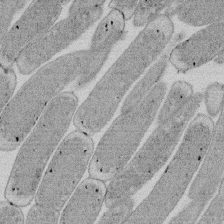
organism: E. coli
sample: Bacterial nucleoid